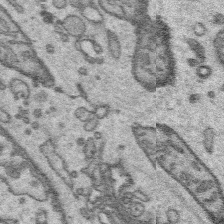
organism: Platynereis dumerilii